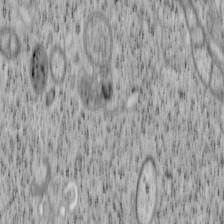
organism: Human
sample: HeLa cells